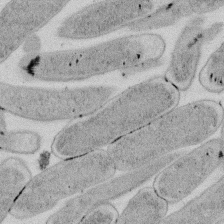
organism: E. coli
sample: Bacterial nucleoid